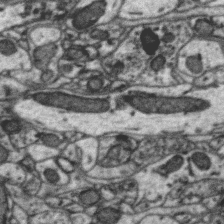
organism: Zebra finch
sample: Brain